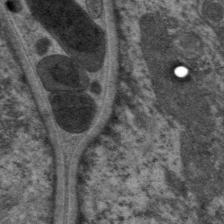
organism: C. elegans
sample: Pharynx